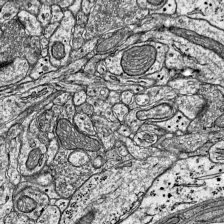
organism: Mouse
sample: Visual Cortex